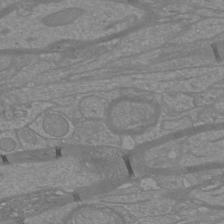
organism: Mouse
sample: Cortical neurons